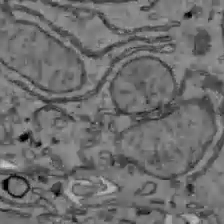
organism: C57BL Mouse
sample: Liver